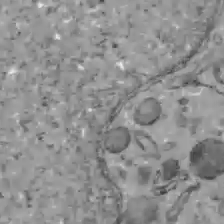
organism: C57BL Mouse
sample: Liver